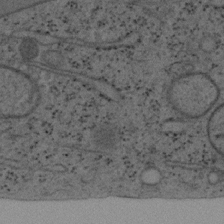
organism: Human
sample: HeLa cells